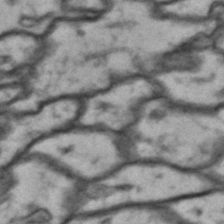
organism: Drosophila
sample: Brain